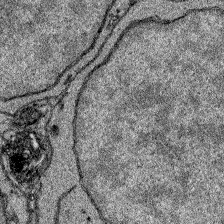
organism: Zebrafish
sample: Larval olfactory bulb